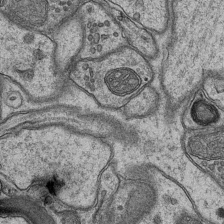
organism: Mouse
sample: CA1 Hippocampus